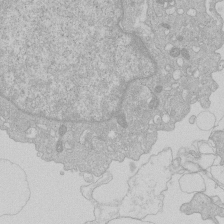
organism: Human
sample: Macrophage cells